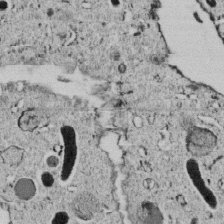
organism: C. elegans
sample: C. elegans embryo early stage